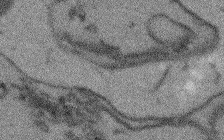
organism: Arabidopsis thaliana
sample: Root tip